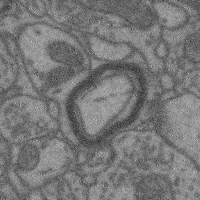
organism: Mouse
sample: Cerebral cortex